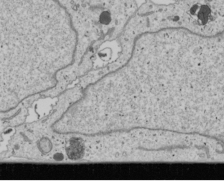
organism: Human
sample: Mitochondria in U2OS cells